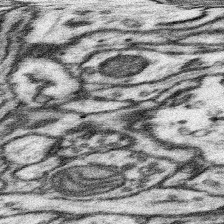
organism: Mouse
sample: Somatosensory cortex neuropil